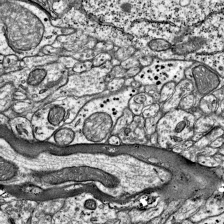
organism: Mouse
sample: Visual Cortex